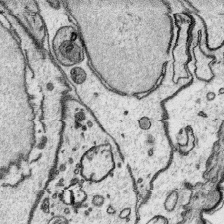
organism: Platynereis dumerilii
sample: Parapodia